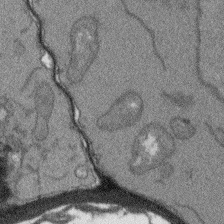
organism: Arabidopsis thaliana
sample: Root tip